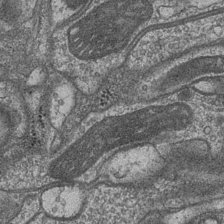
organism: Drosophila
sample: Optic medulla